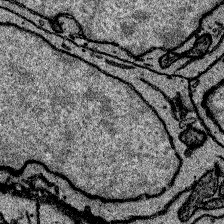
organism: Zebrafish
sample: Larval olfactory bulb